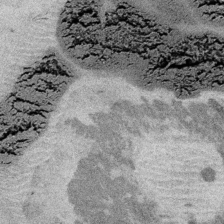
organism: Embia sp.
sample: Silk gland